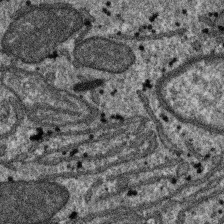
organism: Human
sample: Lung epithelial cells infected with SARS-CoV-2